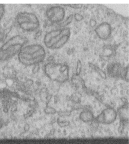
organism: Human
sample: Centriole in RPE cells